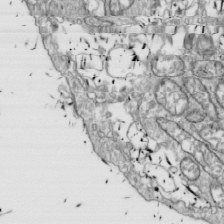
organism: Drosophila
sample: Cell division; meiosis; drosophila spermatocytes